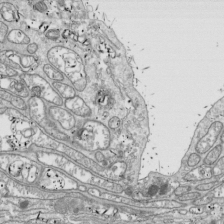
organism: Drosophila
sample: Cell division; meiosis; drosophila spermatocytes